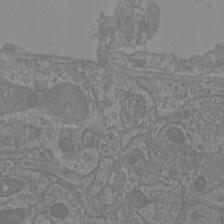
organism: Mouse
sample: Cortical neurons